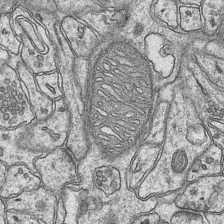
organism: Mouse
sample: CA1 Hippocampus